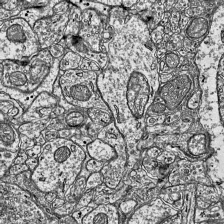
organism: Mouse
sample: Visual Cortex